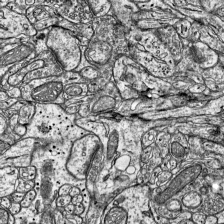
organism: Mouse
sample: Visual Cortex